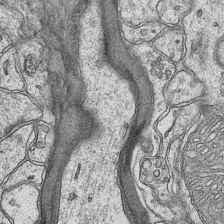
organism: Mouse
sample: CA1 Hippocampus